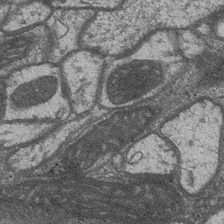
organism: Drosophila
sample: Optic medulla